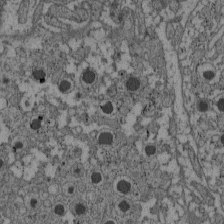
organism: C57BL Mouse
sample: Pancreatic islet